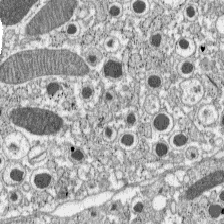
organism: C57BL Mouse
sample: Pancreatic islet